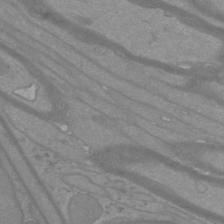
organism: Mouse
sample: Cortical neurons